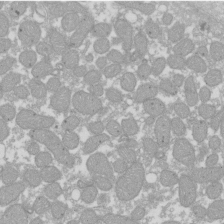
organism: Xenopus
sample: Cilia; centrioles in frog embryo cells